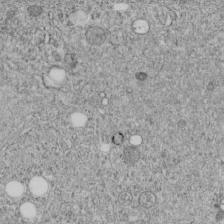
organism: C. elegans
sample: C. elegans embryo early stage